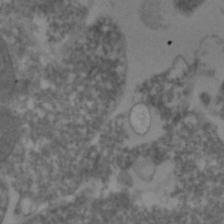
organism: Zebrafish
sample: Zebrafish embryo